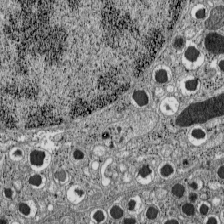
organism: C57BL Mouse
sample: Pancreatic islet